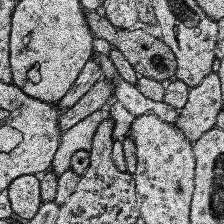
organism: Human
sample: Temporal Lobe